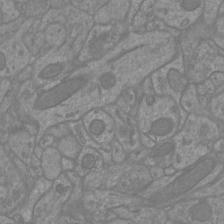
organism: Mouse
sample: Cortical neurons